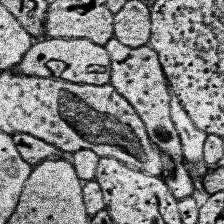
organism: Human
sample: Temporal Lobe